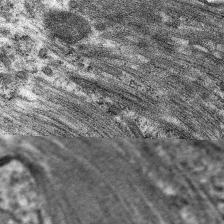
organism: C. elegans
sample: Pharynx